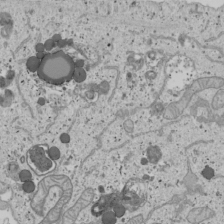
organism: Human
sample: Mitochondria in U2OS cells